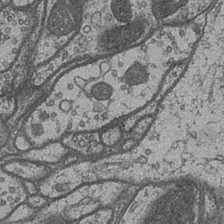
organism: Drosophila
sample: Optic medulla